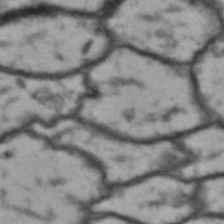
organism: Drosophila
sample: Brain